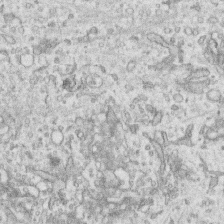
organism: Human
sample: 1205lu cells